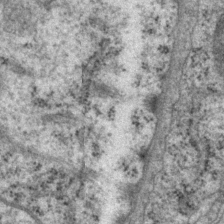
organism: P. pacificus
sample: Pharynx